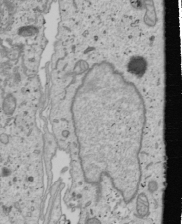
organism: Human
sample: Mitochondria in U2OS cells